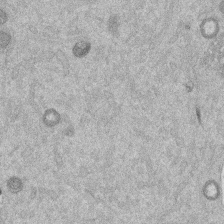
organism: Mouse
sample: Dividing mouse embryo 1 cell stage